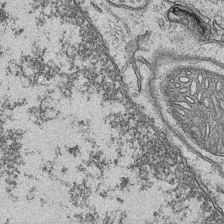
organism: Mouse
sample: CA1 Hippocampus